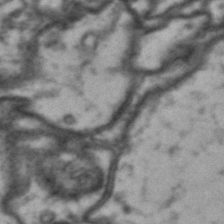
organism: Drosophila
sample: Brain